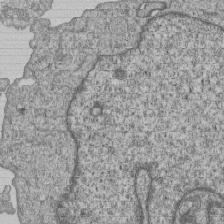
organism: Human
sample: MDA-MB-231 cells